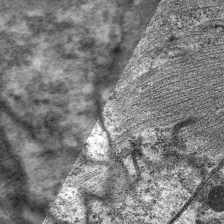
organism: C. elegans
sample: Pharynx